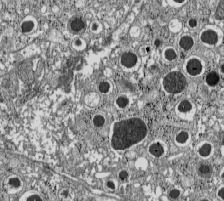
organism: C57BL Mouse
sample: Pancreatic islet